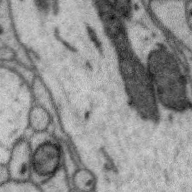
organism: Zebra finch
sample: Brain